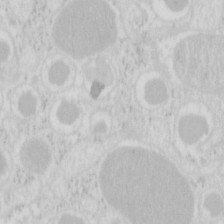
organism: Mouse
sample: Pancreas